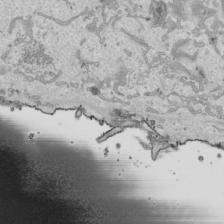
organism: Human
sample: Mitochondria in HCT116 cells